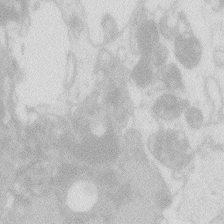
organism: Zebrafish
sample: Macrophage